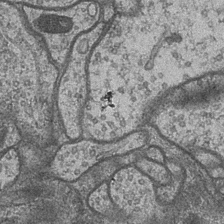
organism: Drosophila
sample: Optic medulla